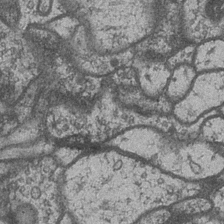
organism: Drosophila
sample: Optic medulla